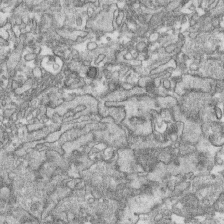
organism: Human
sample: CRL-1474